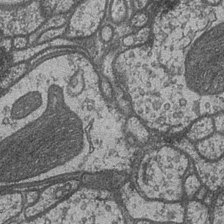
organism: Drosophila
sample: Optic medulla